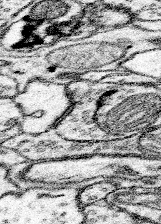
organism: Mouse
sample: Somatosensory cortex neuropil